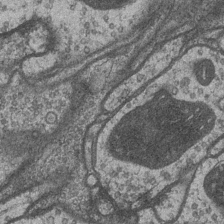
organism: Drosophila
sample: Optic medulla